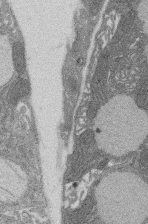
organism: Rat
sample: Salivary granule